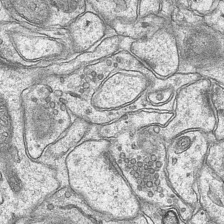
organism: Mouse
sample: CA1 Hippocampus